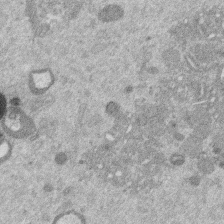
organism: Mouse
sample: Dividing mouse embryo 1 cell stage